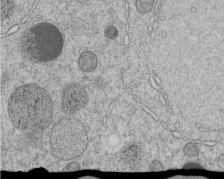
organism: C. elegans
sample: C. elegans embryo early stage